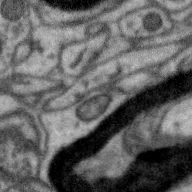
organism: Zebra finch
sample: Brain